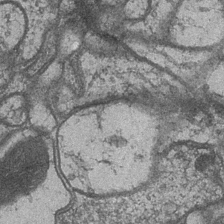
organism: Drosophila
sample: Optic medulla